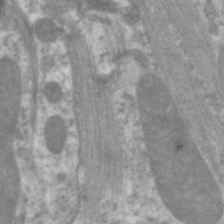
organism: C. elegans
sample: Pharynx